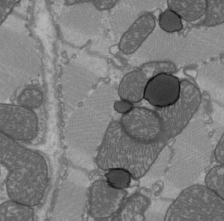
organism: C57BL Mouse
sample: Heart